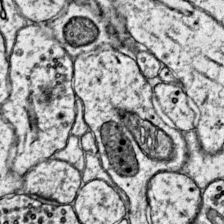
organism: Mouse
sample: Primary visual cortex